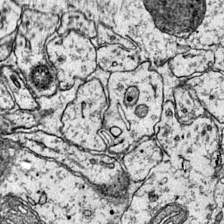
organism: Mouse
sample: Primary visual cortex